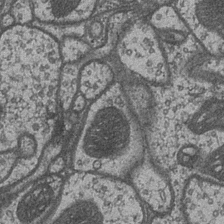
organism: Drosophila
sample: Optic medulla